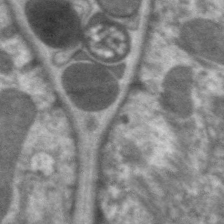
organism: C. elegans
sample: Pharynx